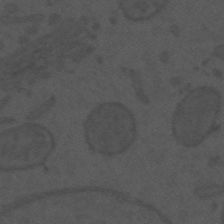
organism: Mouse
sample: Suprachiasmatic nucleus